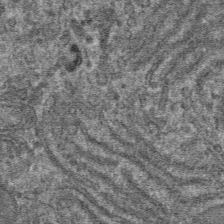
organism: Mouse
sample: Mouse hepatocytes